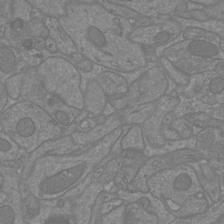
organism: Mouse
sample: Cortical neurons